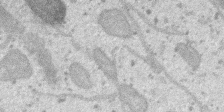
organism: Human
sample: Lung epithelial cells infected with SARS-CoV-2